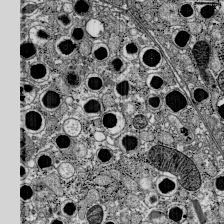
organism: C57BL Mouse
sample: Pancreatic islet